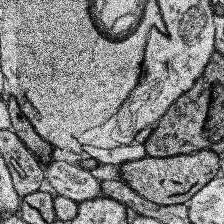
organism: Human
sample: Temporal Lobe